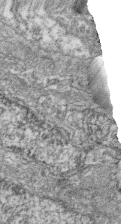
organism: Zebrafish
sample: Cilia; retinal pigment epithelium